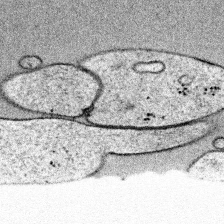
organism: Human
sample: HeLa cells